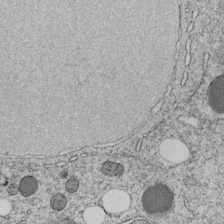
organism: C. elegans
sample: C. elegans embryo early stage